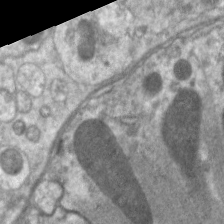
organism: C. elegans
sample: Pharynx